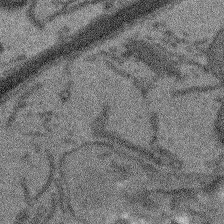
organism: Arabidopsis thaliana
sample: Root tip